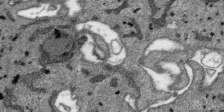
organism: Human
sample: Lung epithelial cells, uninfected (mock) control